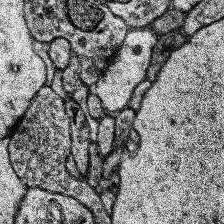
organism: Human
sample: Temporal Lobe